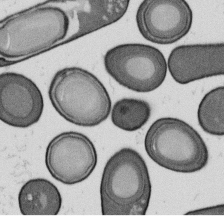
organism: B. subtilis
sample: Bacterial spore